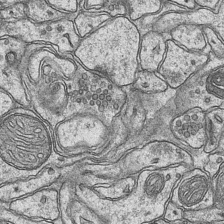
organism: Mouse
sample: CA1 Hippocampus